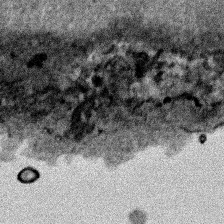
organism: Human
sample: Mitochondria in HCT116 cells